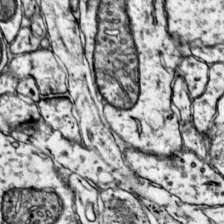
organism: Mouse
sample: Primary visual cortex